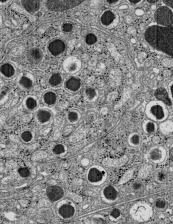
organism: C57BL Mouse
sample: Pancreatic islet